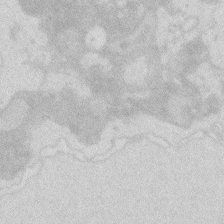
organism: Zebrafish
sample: Macrophage